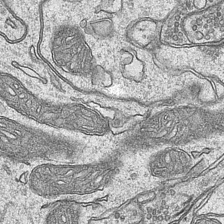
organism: Mouse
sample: CA1 Hippocampus